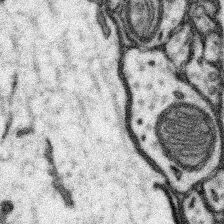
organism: Mouse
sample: Somatosensory cortex neuropil